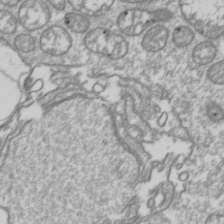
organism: Drosophila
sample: Cell division; meiosis; drosophila spermatocytes